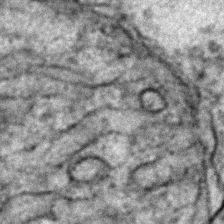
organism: Zebrafish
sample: Zebrafish embryo